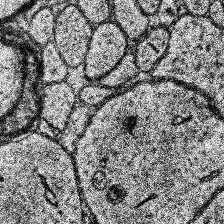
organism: Human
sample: Temporal Lobe